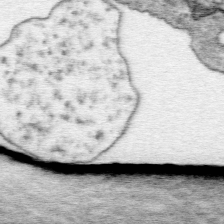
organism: Human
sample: HeLa cells